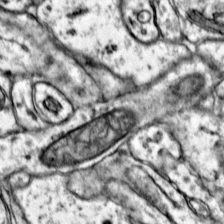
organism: Mouse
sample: Primary visual cortex